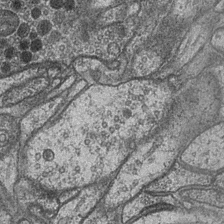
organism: Drosophila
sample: Optic medulla